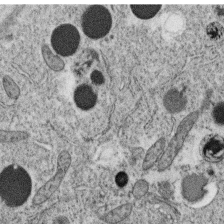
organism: C. elegans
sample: C. elegans oocyte; sperm cells